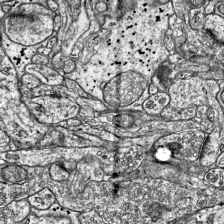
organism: Mouse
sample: Visual Cortex